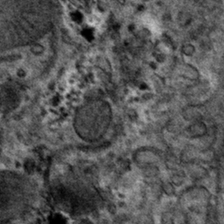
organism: Mouse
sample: Mouse hepatocytes